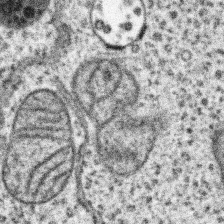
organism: Human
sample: HeLa cells